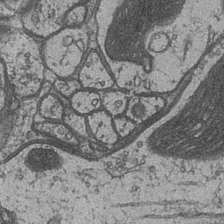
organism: Drosophila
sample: Optic medulla